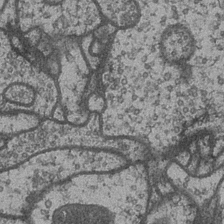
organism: Drosophila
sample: Optic medulla